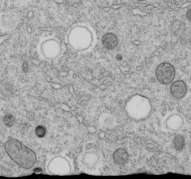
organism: C. elegans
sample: C. elegans embryo early stage